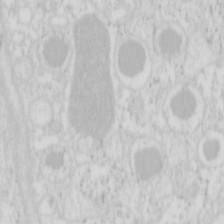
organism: Mouse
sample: Pancreas